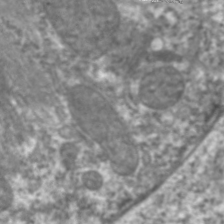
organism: C. elegans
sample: Pharynx